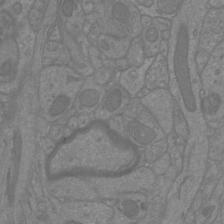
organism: Mouse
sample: Cortical neurons